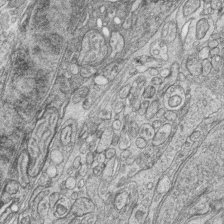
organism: Zebrafish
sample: synaptic ribbons in rod cells and cone cells